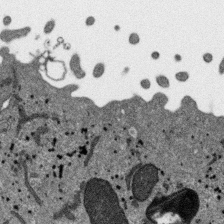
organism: Human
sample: Lung epithelial cells, uninfected (mock) control